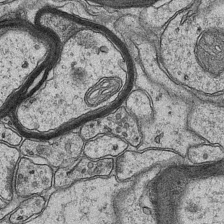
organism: Mouse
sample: CA1 Hippocampus